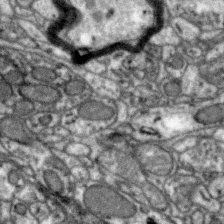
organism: Zebra finch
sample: Brain